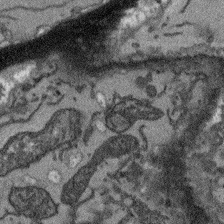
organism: Arabidopsis thaliana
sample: Root tip